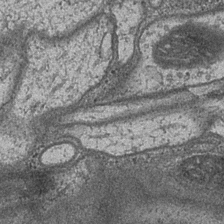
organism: Drosophila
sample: Optic medulla